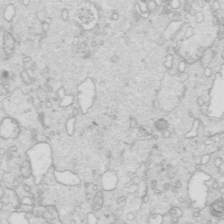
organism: Mouse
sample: Multiciliated cells